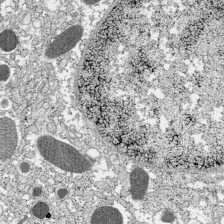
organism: C57BL Mouse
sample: Pancreatic islet